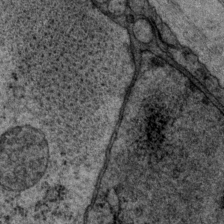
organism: P. pacificus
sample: Pharynx